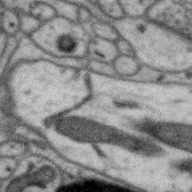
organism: Zebra finch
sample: Brain